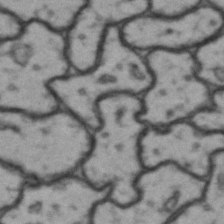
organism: Drosophila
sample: Brain